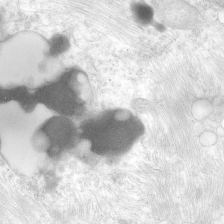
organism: Human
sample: Neocortex